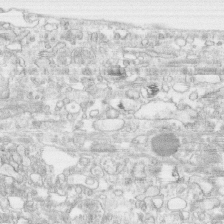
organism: Human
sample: CRL-1474